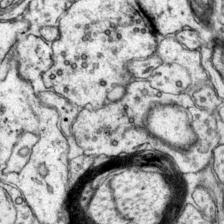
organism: Mouse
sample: Primary visual cortex